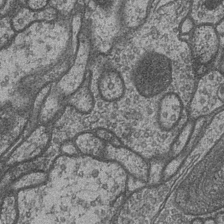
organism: Drosophila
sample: Optic medulla